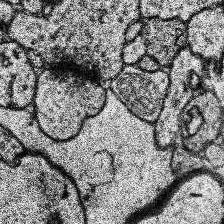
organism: Human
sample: Temporal Lobe